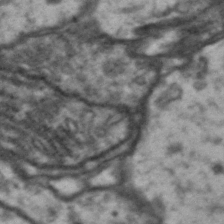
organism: Drosophila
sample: Brain